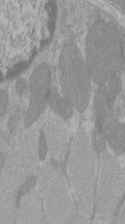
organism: C57BL Mouse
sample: Tibialis anterior muscle cell